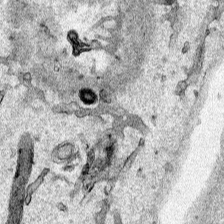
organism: Human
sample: Mitochondria in HCT116 cells